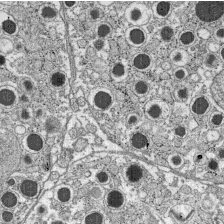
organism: C57BL Mouse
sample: Pancreatic islet